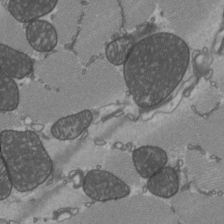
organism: C57BL Mouse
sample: Heart